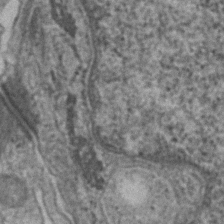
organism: Human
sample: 1205lu cells